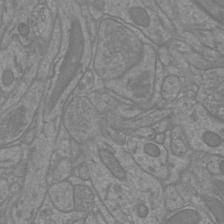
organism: Mouse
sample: Cortical neurons